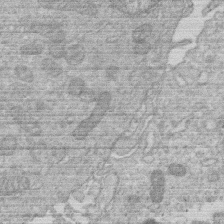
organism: Human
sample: Macrophage cells